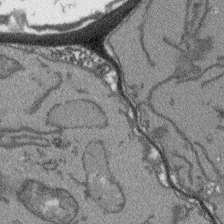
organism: Arabidopsis thaliana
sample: Root tip